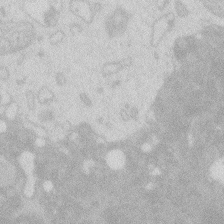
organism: Zebrafish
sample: Macrophage